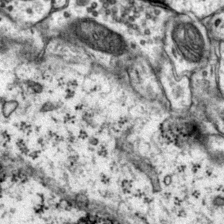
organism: Mouse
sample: Primary visual cortex